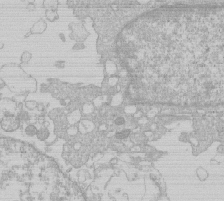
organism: Human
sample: Macrophage cells